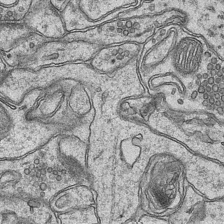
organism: Mouse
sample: CA1 Hippocampus